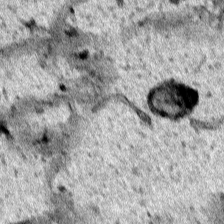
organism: Human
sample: Mitochondria in HCT116 cells